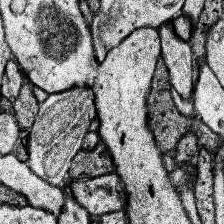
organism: Human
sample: Temporal Lobe